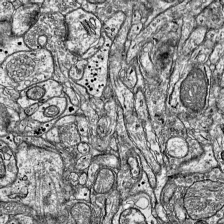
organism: Mouse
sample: Visual Cortex